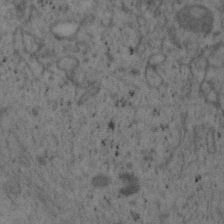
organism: Human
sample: HeLa cells